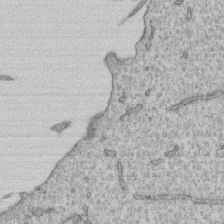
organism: Human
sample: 1205lu cells